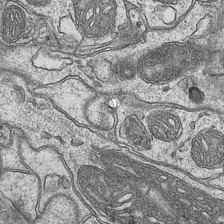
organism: Mouse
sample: CA1 Hippocampus